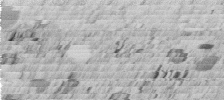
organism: C. elegans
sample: C. elegans embryo early stage